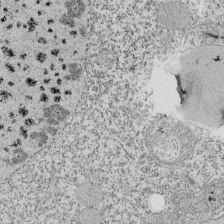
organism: Tetrahymena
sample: Cilia in tetrahymena